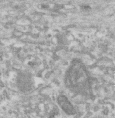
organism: Human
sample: Centriole in RPE cells